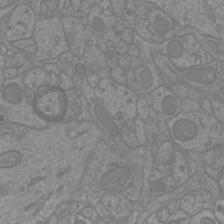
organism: Mouse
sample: Cortical neurons